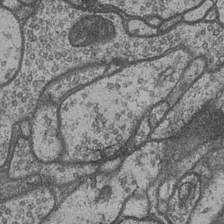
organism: Drosophila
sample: Optic medulla